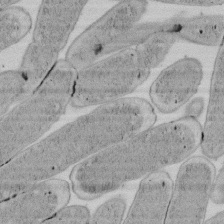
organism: E. coli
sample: Bacterial nucleoid